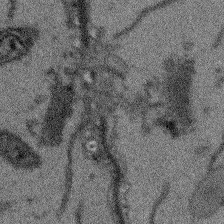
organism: Arabidopsis thaliana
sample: Root tip